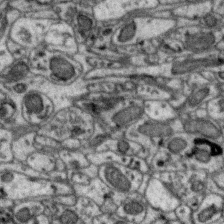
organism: Zebra finch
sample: Brain